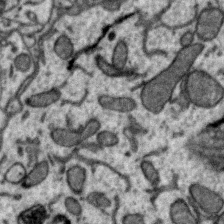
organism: Zebra finch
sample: Brain